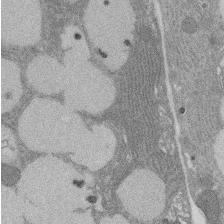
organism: Rat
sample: Salivary granule